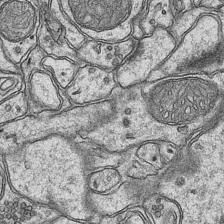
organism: Mouse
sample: CA1 Hippocampus